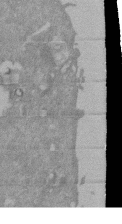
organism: Mouse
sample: ED-1 cell nuclei; centrioles